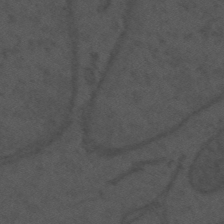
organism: Mouse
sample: Suprachiasmatic nucleus